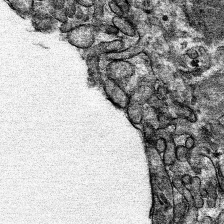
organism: Mouse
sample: Mouse hepatocytes